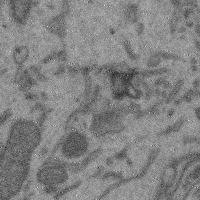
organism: Mouse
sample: Cerebral cortex